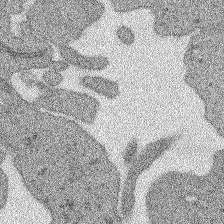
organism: Human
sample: HeLa cells